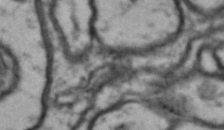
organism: Drosophila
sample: Brain